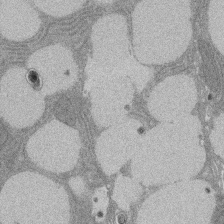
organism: Rat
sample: Salivary granule